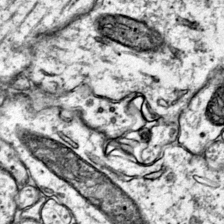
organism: Mouse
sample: Primary visual cortex